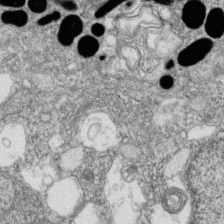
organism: Zebrafish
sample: Cilia; retinal pigment epithelium